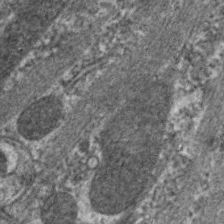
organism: C. elegans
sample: Pharynx